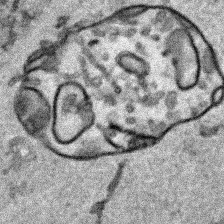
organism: Human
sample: Mitochondria in HCT116 cells